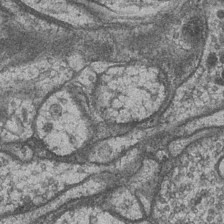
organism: Drosophila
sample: Optic medulla